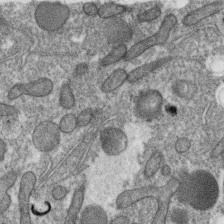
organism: C. elegans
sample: C. elegans oocyte; sperm cells